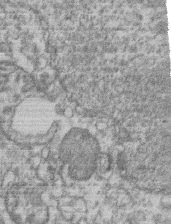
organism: Mouse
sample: T cell stromal cell synapse